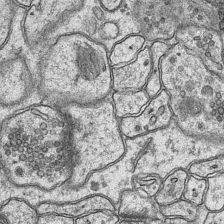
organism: Mouse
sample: CA1 Hippocampus